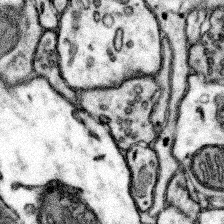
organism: Mouse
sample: Somatosensory cortex neuropil